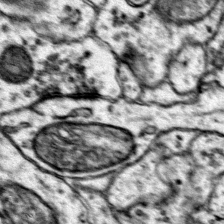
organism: Mouse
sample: Primary visual cortex